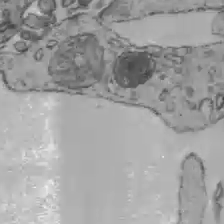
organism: C57BL Mouse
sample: Liver